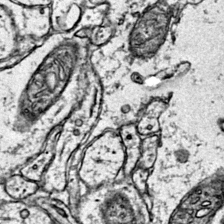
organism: Mouse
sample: Primary visual cortex